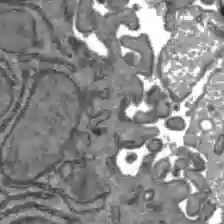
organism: C57BL Mouse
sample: Liver